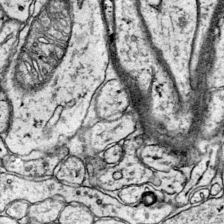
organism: Mouse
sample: Primary visual cortex